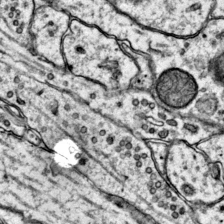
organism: Mouse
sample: Primary visual cortex